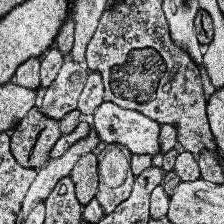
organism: Human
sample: Temporal Lobe